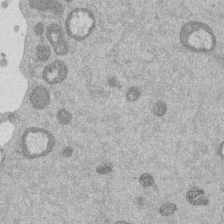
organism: Mouse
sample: Dividing mouse embryo 1 cell stage